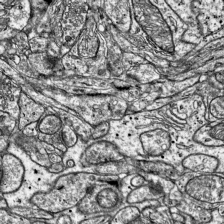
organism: Mouse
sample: Visual Cortex